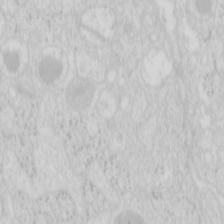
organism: Mouse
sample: Pancreas